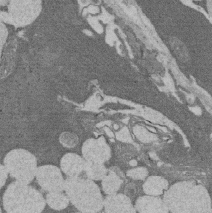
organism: Rat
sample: Salivary granule